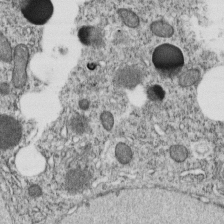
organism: C. elegans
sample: C. elegans embryo early stage